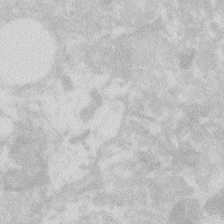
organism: Zebrafish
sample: Macrophage